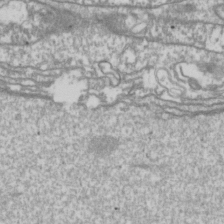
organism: Drosophila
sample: Cell division; meiosis; drosophila spermatocytes